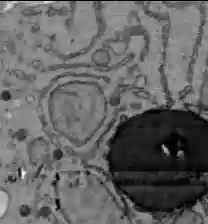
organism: C57BL Mouse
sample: Liver